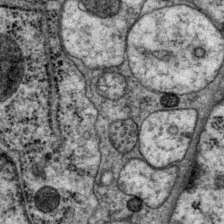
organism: P. pacificus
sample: Pharynx